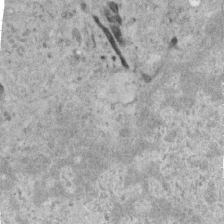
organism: Human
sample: Centriole in RPE cells